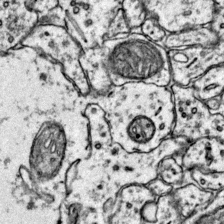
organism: Mouse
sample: Primary visual cortex